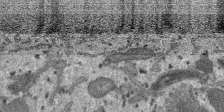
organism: Human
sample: Lung epithelial cells infected with SARS-CoV-2